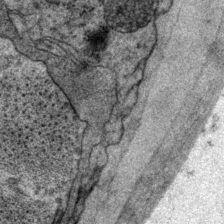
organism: P. pacificus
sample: Pharynx